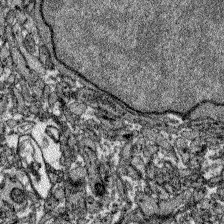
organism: Zebrafish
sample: Larval olfactory bulb